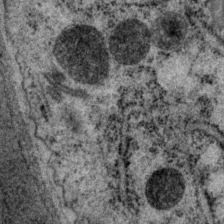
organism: P. pacificus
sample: Pharynx